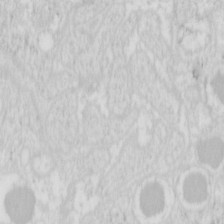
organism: Mouse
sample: Pancreas